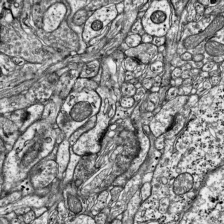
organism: Mouse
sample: Visual Cortex